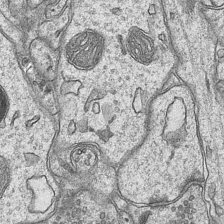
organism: Mouse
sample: CA1 Hippocampus